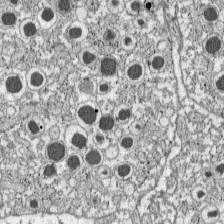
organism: C57BL Mouse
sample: Pancreatic islet